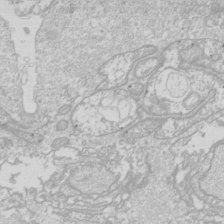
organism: Drosophila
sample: Cell division; meiosis; drosophila spermatocytes